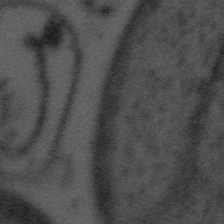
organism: Tuwongella immobilis